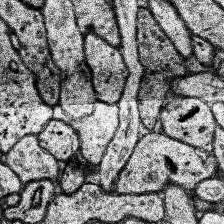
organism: Human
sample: Temporal Lobe